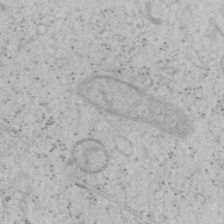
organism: Human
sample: HeLa cells